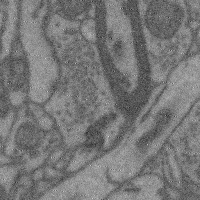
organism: Mouse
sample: Cerebral cortex